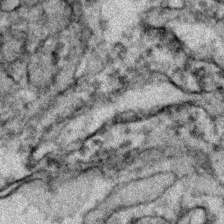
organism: Zebrafish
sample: Zebrafish embryo